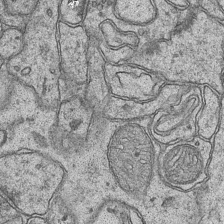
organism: Mouse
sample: CA1 Hippocampus